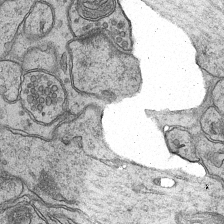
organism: Mouse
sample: CA1 Hippocampus